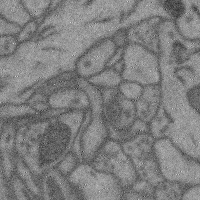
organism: Mouse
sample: Cerebral cortex